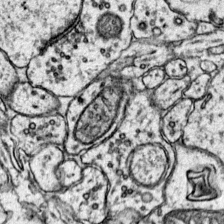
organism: Mouse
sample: Primary visual cortex